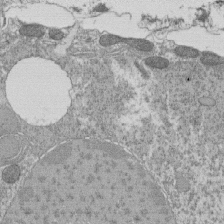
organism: Tetrahymena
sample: Cilia in tetrahymena